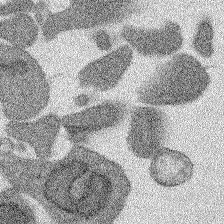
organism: Human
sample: HeLa cells